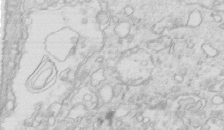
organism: Mouse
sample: Multiciliated cells